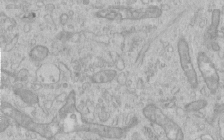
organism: Human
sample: Centriole in RPE cells